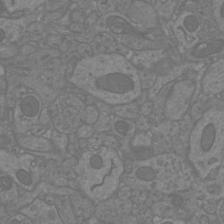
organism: Mouse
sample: Cortical neurons